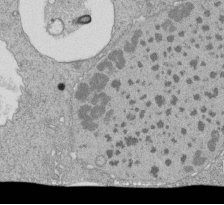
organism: Tetrahymena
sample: Cilia in tetrahymena